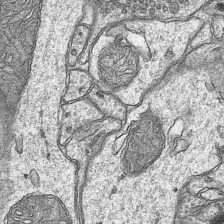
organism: Mouse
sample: CA1 Hippocampus